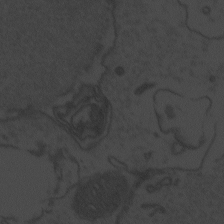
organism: Zebrafish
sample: Macrophage infected with Toxoplasma gondii